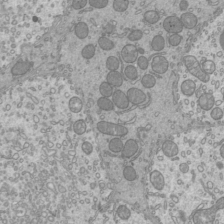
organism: Mouse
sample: Cilia; mouse epididymis